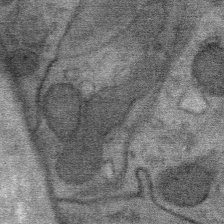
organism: Mouse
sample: Mouse Salivary gland